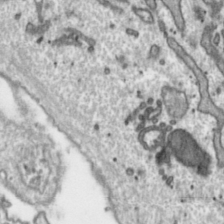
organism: Toxoplasma gondii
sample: Parasites in a vacuole inside a host cell